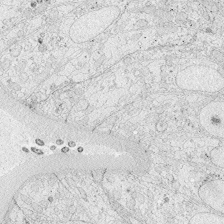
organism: Zebrafish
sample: Whole-Brain